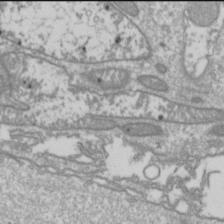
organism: Drosophila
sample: Cell division; meiosis; drosophila spermatocytes